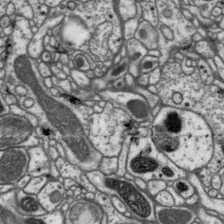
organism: Drosophila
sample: Protocerebral bridge